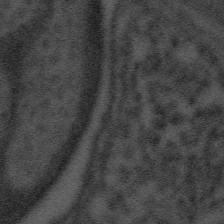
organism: Tuwongella immobilis